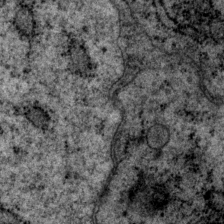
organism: P. pacificus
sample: Pharynx